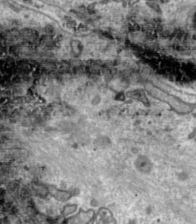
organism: Toxoplasma gondii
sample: Parasites in a vacuole inside a host cell